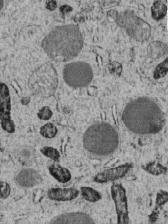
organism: C. elegans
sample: C. elegans embryo early stage